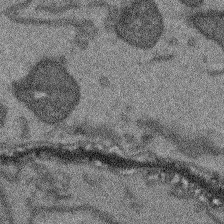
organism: Arabidopsis thaliana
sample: Root tip